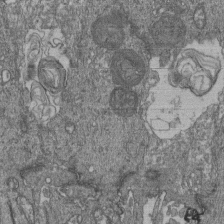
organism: Human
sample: Retinal organoid Rod and Cone cells